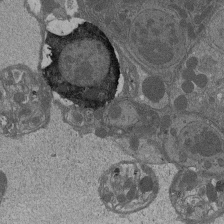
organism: Drosophila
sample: Antenna